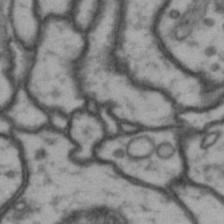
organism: Drosophila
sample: Brain